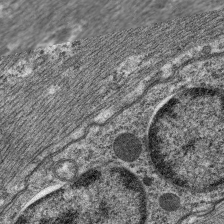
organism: C. elegans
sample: Pharynx